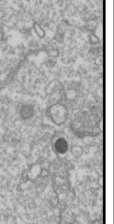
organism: Drosophila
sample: Cell division; meiosis; drosophila spermatocytes